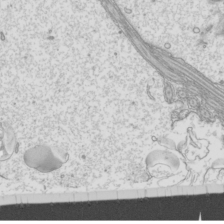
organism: Mouse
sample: Cilia; mouse epididymis